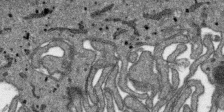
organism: Human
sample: Lung epithelial cells, uninfected (mock) control